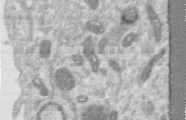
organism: Human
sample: Centriole in RPE cells